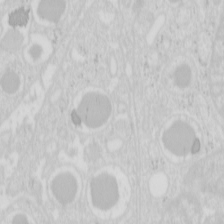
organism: Mouse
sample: Pancreas